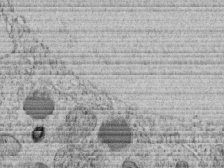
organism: C. elegans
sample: C. elegans embryo early stage